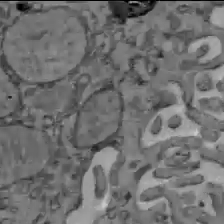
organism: C57BL Mouse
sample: Liver